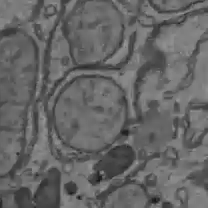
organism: C57BL Mouse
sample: Liver